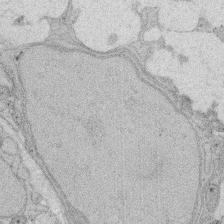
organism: Rat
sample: Salivary granule